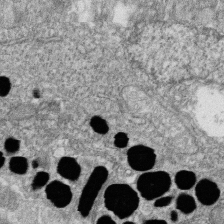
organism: Zebrafish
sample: Cilia; retinal pigment epithelium